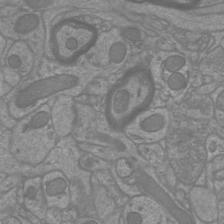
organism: Mouse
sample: Cortical neurons